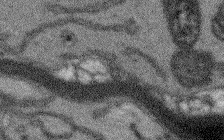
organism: Arabidopsis thaliana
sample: Root tip